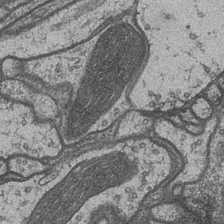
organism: Drosophila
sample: Optic medulla